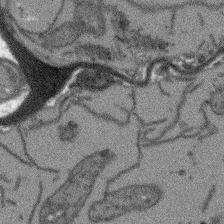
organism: Arabidopsis thaliana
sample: Root tip